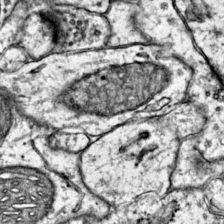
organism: Mouse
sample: Primary visual cortex